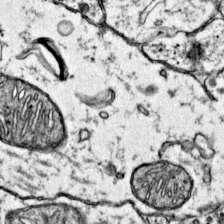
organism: Mouse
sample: Primary visual cortex